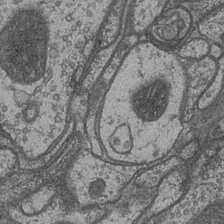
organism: Drosophila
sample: Optic medulla